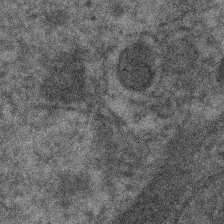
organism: Human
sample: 1205lu cells